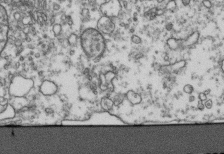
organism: Human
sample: Activated Jurkat CD4+ T cells